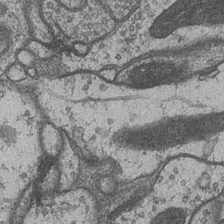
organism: Drosophila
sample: Optic medulla